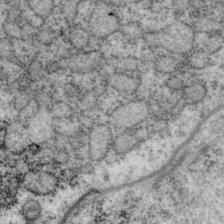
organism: P. pacificus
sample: Pharynx